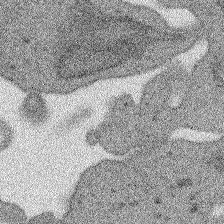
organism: Human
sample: HeLa cells